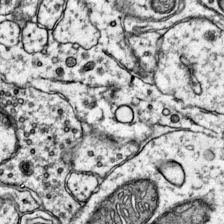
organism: Mouse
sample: Primary visual cortex